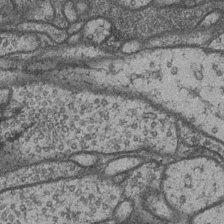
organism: Drosophila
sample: Optic medulla